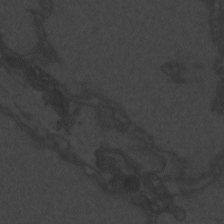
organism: Zebrafish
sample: Macrophage infected with Toxoplasma gondii